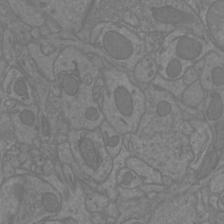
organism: Mouse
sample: Cortical neurons